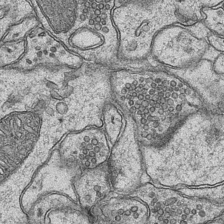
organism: Mouse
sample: CA1 Hippocampus